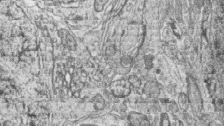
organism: Zebrafish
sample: synaptic ribbons in rod cells and cone cells